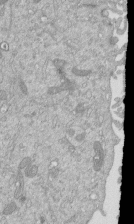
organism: Mouse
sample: ED-1 cell nuclei; centrioles